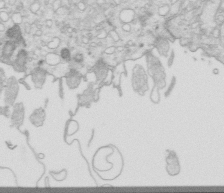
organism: Mouse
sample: Multiciliated cells